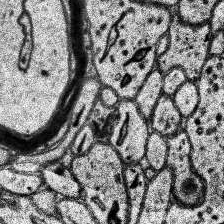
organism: Human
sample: Temporal Lobe